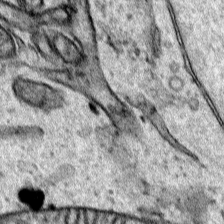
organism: Human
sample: Mitochondria in HCT116 cells